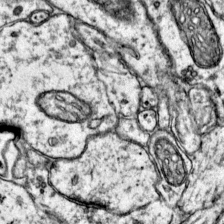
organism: Mouse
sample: Primary visual cortex